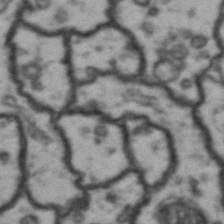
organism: Drosophila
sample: Brain